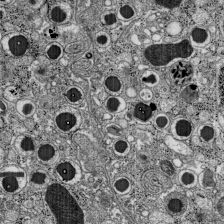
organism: C57BL Mouse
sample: Pancreatic islet